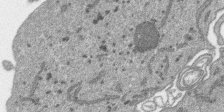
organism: Human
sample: Lung epithelial cells infected with SARS-CoV-2